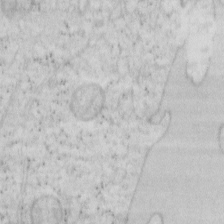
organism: Human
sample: HeLa cells